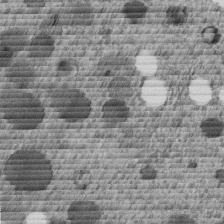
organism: C. elegans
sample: C. elegans embryo early stage